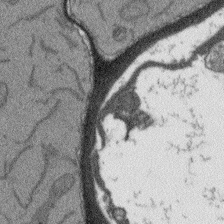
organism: Arabidopsis thaliana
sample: Root tip